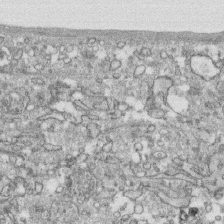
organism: Human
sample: CRL-1474